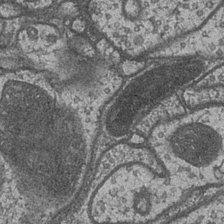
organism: Drosophila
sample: Optic medulla